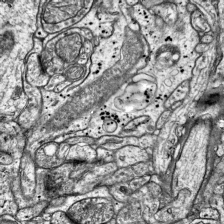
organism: Mouse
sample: Visual Cortex